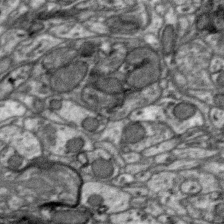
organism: Zebra finch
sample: Brain